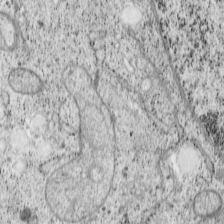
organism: African green monkey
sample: COS-7 cells